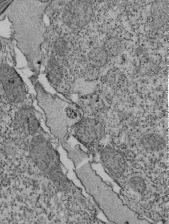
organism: Tetrahymena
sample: Cilia in tetrahymena